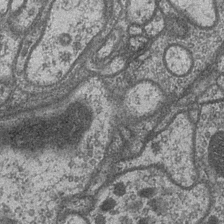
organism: Drosophila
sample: Optic medulla